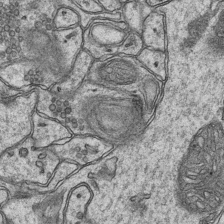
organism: Mouse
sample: CA1 Hippocampus